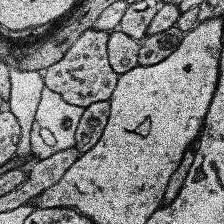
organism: Human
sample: Temporal Lobe